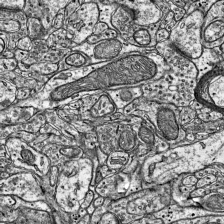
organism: Mouse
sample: Visual Cortex